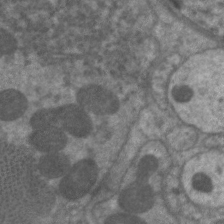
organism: C. elegans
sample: Pharynx